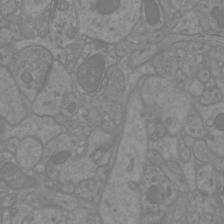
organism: Mouse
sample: Cortical neurons